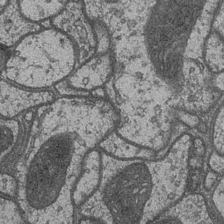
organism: Drosophila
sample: Optic medulla